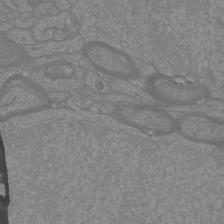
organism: Mouse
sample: Cortical neurons